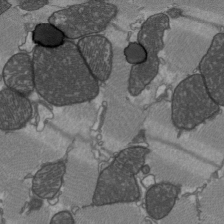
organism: C57BL Mouse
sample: Heart